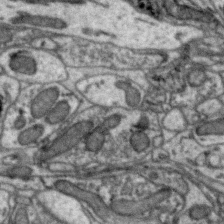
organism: Zebra finch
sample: Brain